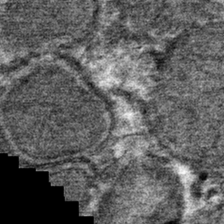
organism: Mouse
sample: Mouse hepatocytes